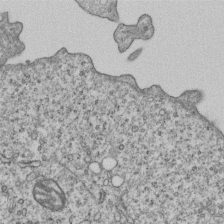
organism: Human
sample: MDA-MB-231 cells